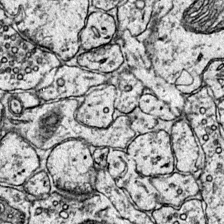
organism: Mouse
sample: Primary visual cortex